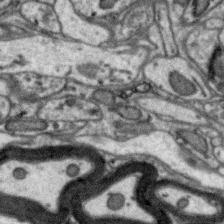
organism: Zebra finch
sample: Brain